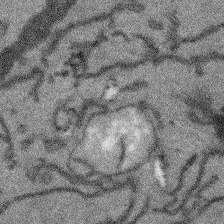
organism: Arabidopsis thaliana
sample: Root tip